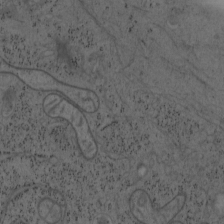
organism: Mouse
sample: OT-I killer T cells with ID8 ovarian cancer cells